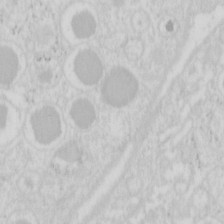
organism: Mouse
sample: Pancreas